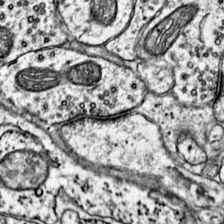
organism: Mouse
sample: Primary visual cortex